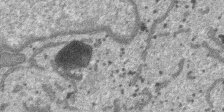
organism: Human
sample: Lung epithelial cells infected with SARS-CoV-2